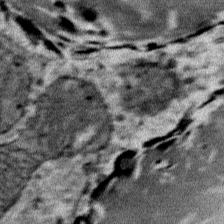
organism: Mouse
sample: Mouse Salivary gland